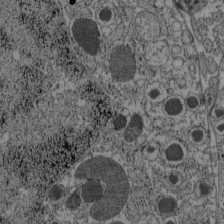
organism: C57BL Mouse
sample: Pancreatic islet